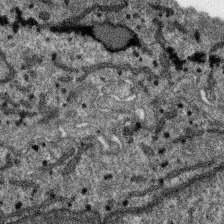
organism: Human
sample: Lung epithelial cells infected with SARS-CoV-2